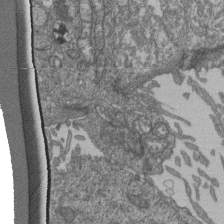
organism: Human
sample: Retinal organoid Rod and Cone cells